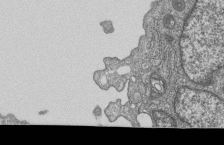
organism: Human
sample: MDA-MB-231 cells